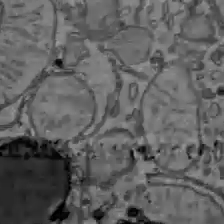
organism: C57BL Mouse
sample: Liver